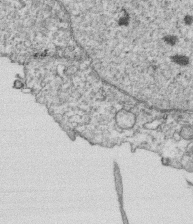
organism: Human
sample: HeLa cell HIV synapse